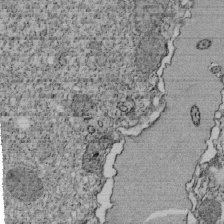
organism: Tetrahymena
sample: Cilia in tetrahymena